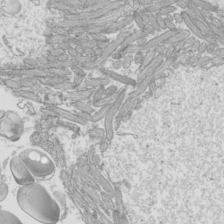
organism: Mouse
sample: Cilia; mouse epididymis